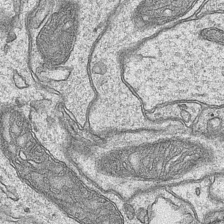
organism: Mouse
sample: CA1 Hippocampus